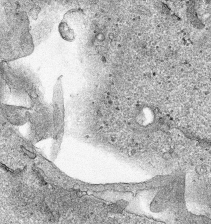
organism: Human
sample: Mitochondria in HCT116 cells